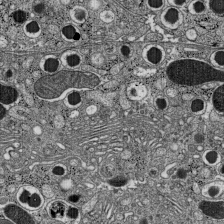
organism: C57BL Mouse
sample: Pancreatic islet